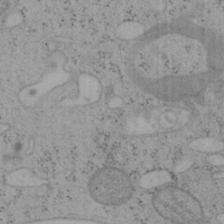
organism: Mouse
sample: OT-I killer T cells with ID8 ovarian cancer cells